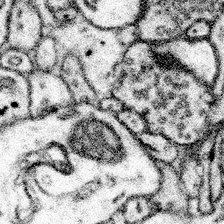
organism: Mouse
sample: Somatosensory cortex neuropil